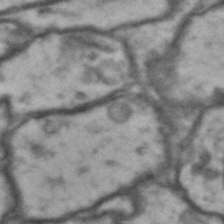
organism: Drosophila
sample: Brain